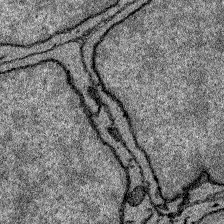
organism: Zebrafish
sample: Larval olfactory bulb